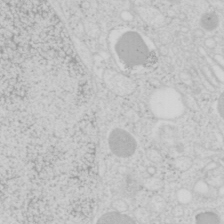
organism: Mouse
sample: Pancreas